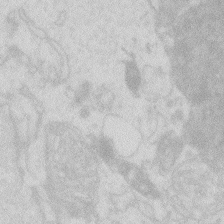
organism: Zebrafish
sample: Macrophage